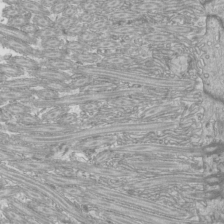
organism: Mouse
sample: Cilia; mouse epididymis